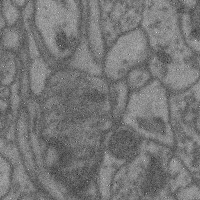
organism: Mouse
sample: Cerebral cortex